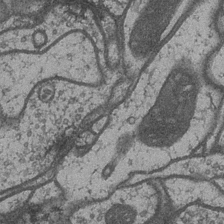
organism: Drosophila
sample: Optic medulla